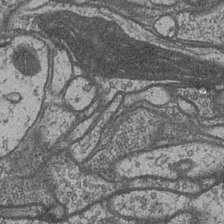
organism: Drosophila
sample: Optic medulla